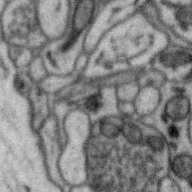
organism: Zebra finch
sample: Brain